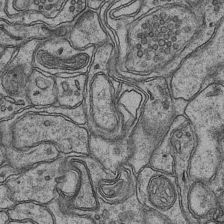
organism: Mouse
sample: CA1 Hippocampus